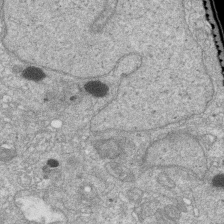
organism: Human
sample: HeLa cell HIV synapse